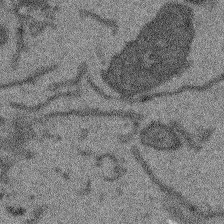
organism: Arabidopsis thaliana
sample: Root tip